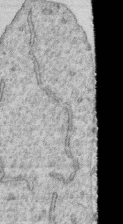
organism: Human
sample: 1205lu cells